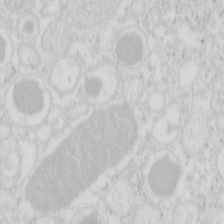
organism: Mouse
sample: Pancreas